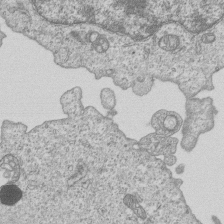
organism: Human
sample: MDA-MB-231 cells